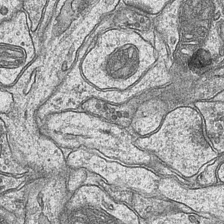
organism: Mouse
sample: CA1 Hippocampus